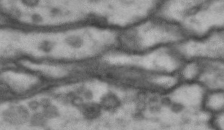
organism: Drosophila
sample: Brain